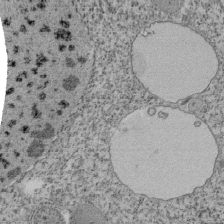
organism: Tetrahymena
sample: Cilia in tetrahymena